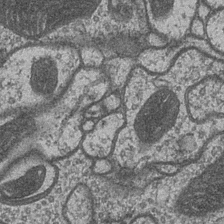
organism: Drosophila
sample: Optic medulla